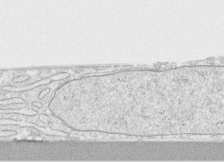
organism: Human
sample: CRL-1474